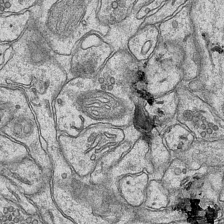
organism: Mouse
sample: CA1 Hippocampus